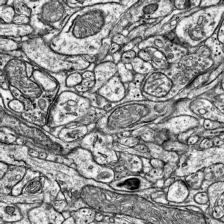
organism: Mouse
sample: Visual Cortex